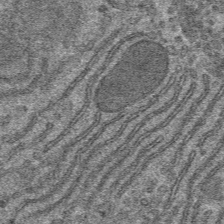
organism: Mouse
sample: Mouse hepatocytes